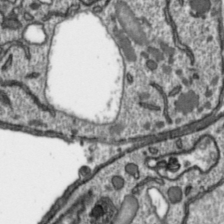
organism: Toxoplasma gondii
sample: Parasites in a vacuole inside a host cell